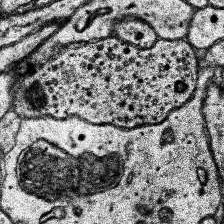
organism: Human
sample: Temporal Lobe